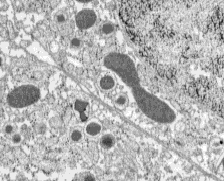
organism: C57BL Mouse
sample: Pancreatic islet